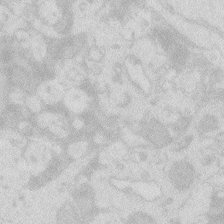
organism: Zebrafish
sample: Macrophage